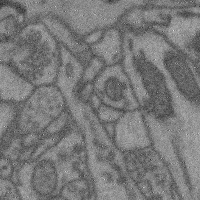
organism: Mouse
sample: Cerebral cortex